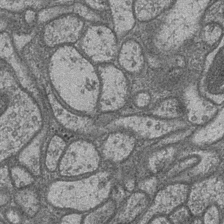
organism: Drosophila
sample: Optic medulla